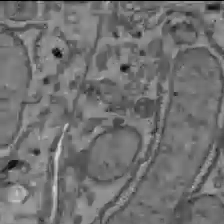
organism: C57BL Mouse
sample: Liver